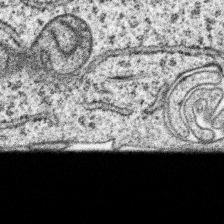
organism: Human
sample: HeLa cells